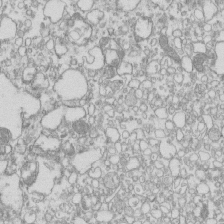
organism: Mouse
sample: Macrophages